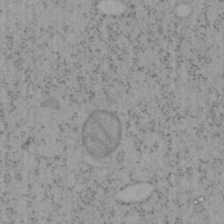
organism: Mouse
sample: OT-I killer T cells with ID8 ovarian cancer cells